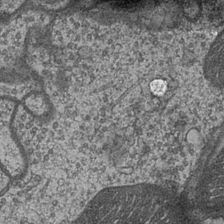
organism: Drosophila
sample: Optic medulla